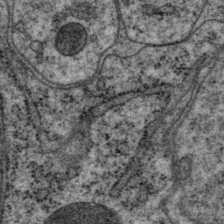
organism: P. pacificus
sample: Pharynx